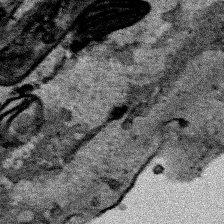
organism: Human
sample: Mitochondria in HCT116 cells